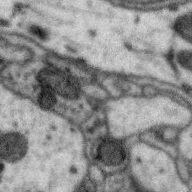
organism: Zebra finch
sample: Brain